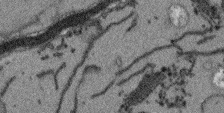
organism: Arabidopsis thaliana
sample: Root tip